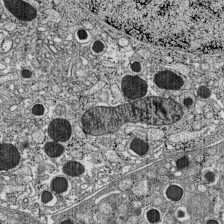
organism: C57BL Mouse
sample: Pancreatic islet